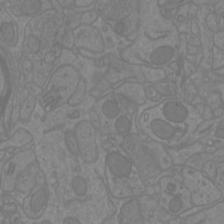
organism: Mouse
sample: Cortical neurons